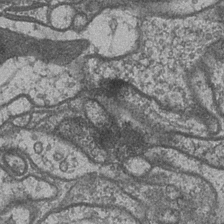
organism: Drosophila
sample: Optic medulla